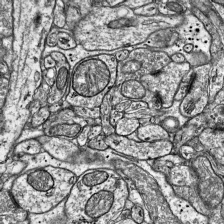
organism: Mouse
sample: Visual Cortex